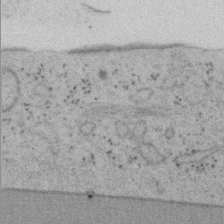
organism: Human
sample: HeLa cells